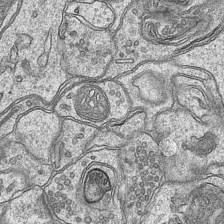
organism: Mouse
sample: CA1 Hippocampus